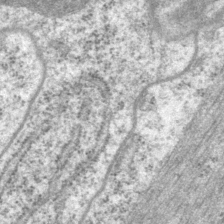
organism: P. pacificus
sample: Pharynx